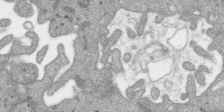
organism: Human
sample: Lung epithelial cells infected with SARS-CoV-2